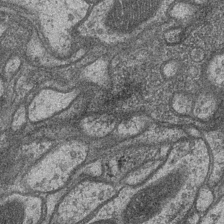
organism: Drosophila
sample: Optic medulla